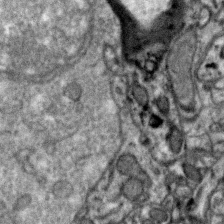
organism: Zebra finch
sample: Brain